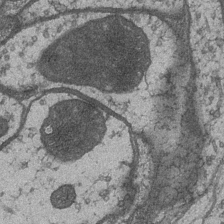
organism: Drosophila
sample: Optic medulla